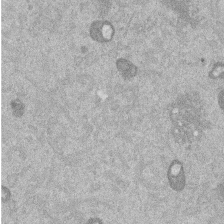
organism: Mouse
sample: Dividing mouse embryo 1 cell stage